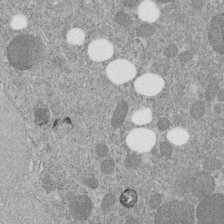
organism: C. elegans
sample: C. elegans embryo early stage